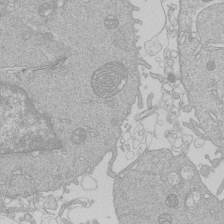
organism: Human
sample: Macrophage cells